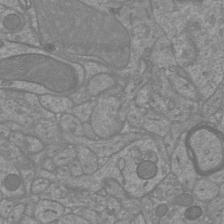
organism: Mouse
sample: Cortical neurons